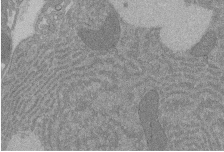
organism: Rat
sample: Salivary granule